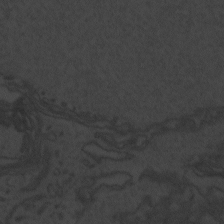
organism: Zebrafish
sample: Macrophage infected with Toxoplasma gondii